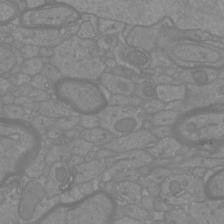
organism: Mouse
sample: Cortical neurons